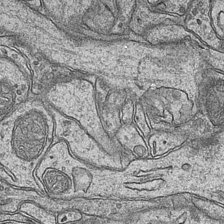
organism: Mouse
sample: CA1 Hippocampus